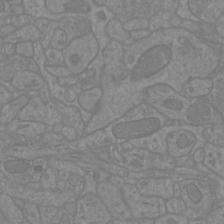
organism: Mouse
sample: Cortical neurons